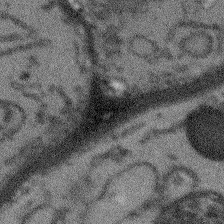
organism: Arabidopsis thaliana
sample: Root tip